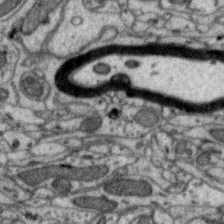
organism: Zebra finch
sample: Brain